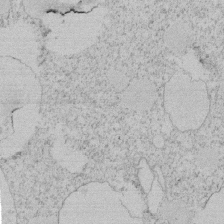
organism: Tetrahymena